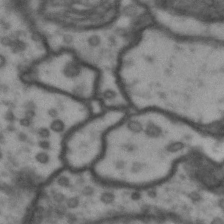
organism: Drosophila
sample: Brain